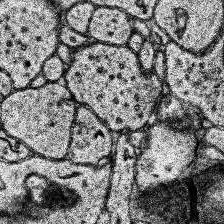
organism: Human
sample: Temporal Lobe